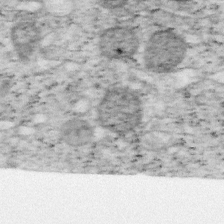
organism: Mouse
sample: OT-I killer T cells with ID8 ovarian cancer cells